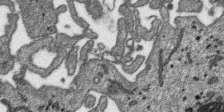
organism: Human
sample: Lung epithelial cells infected with SARS-CoV-2